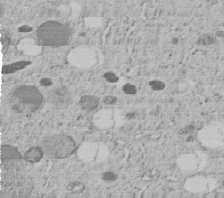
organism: C. elegans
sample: C. elegans embryo early stage